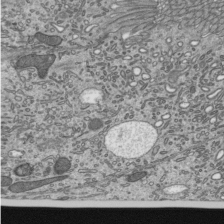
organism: Mouse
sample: Mouse epididymis efferent ductule cilia